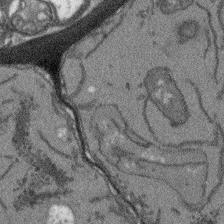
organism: Arabidopsis thaliana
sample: Root tip